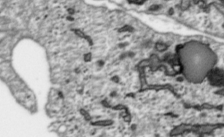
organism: Toxoplasma gondii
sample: Parasites in a vacuole inside a host cell